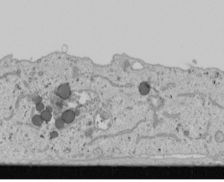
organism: Human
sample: Mitochondria in U2OS cells